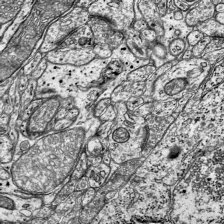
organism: Mouse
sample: Visual Cortex